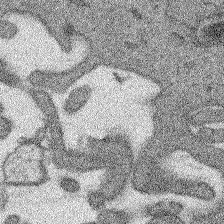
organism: Human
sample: HeLa cells